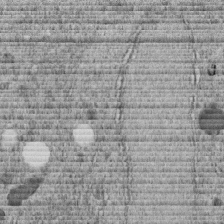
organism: C. elegans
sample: C. elegans embryo early stage